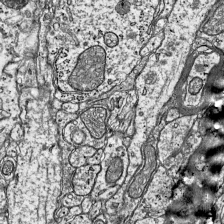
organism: Mouse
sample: Visual Cortex